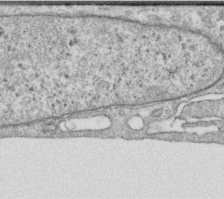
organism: Human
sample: Centriole in RPE cells